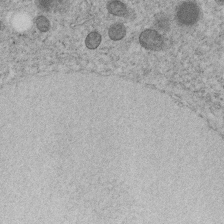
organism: C. elegans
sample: C. elegans embryo early stage